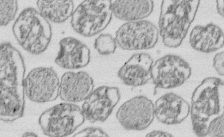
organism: E. coli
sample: Bacterial nucleoid